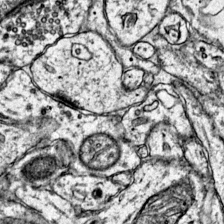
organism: Mouse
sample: Primary visual cortex